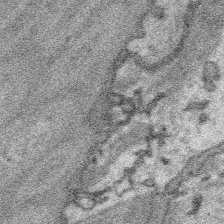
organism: Platynereis dumerilii